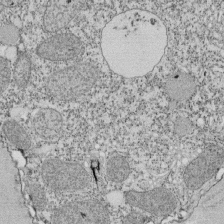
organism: Tetrahymena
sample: Cilia in tetrahymena